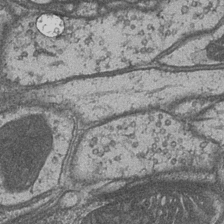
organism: Drosophila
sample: Optic medulla